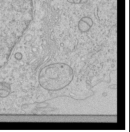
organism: Human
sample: Mitochondria in HCT116 cells